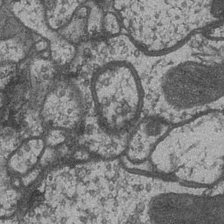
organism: Drosophila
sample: Optic medulla